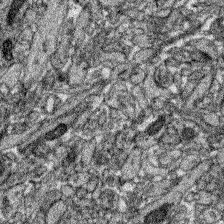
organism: Zebrafish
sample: Larval olfactory bulb